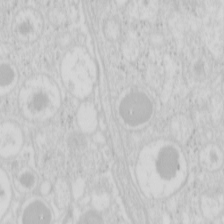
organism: Mouse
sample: Pancreas